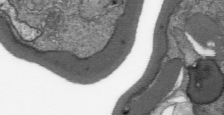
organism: Plasmodium falciparum